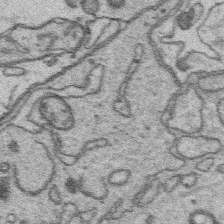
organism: Platynereis dumerilii